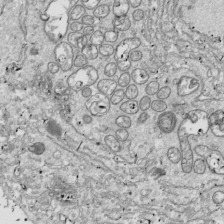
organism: Drosophila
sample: Cell division; meiosis; drosophila spermatocytes